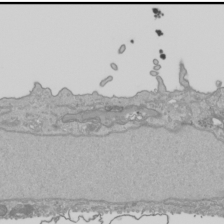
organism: Human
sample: Mitochondria in HCT116 cells